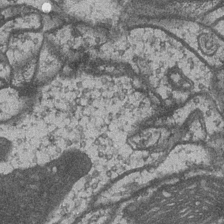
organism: Drosophila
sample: Optic medulla